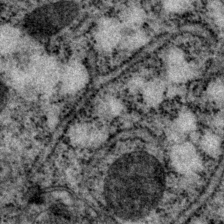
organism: P. pacificus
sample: Pharynx